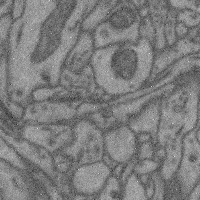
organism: Mouse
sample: Cerebral cortex